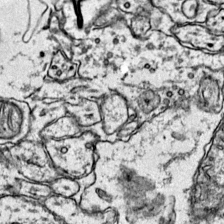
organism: Mouse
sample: Primary visual cortex